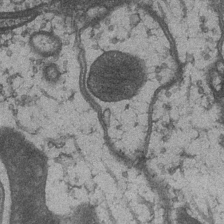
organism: Drosophila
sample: Optic medulla